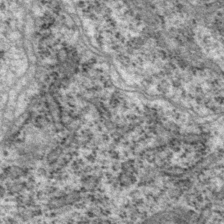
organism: P. pacificus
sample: Pharynx